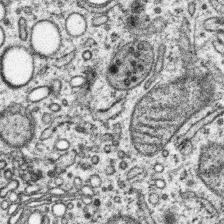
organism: Human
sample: HeLa cells